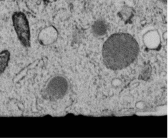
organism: C. elegans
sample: C. elegans embryo early stage